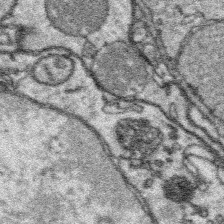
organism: Platynereis dumerilii